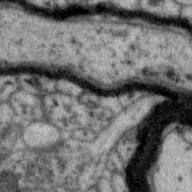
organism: Zebra finch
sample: Brain